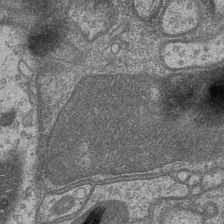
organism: Drosophila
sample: Optic medulla